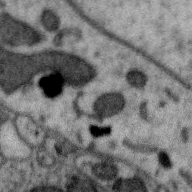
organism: Zebra finch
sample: Brain